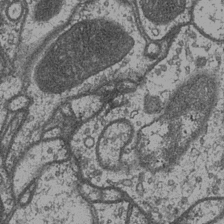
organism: Drosophila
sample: Optic medulla